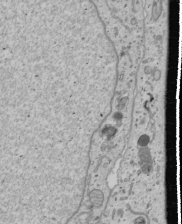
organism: Human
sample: Mitochondria in U2OS cells